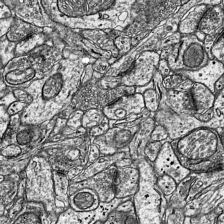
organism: Mouse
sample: Visual Cortex